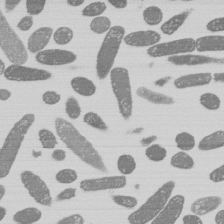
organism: E. coli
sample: Bacterial nucleoid